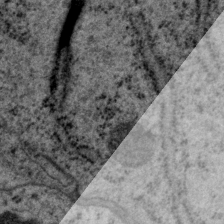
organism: P. pacificus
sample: Pharynx